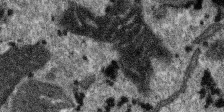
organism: Human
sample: Lung epithelial cells infected with SARS-CoV-2